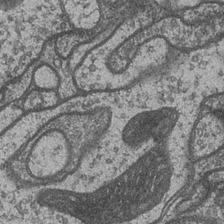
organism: Drosophila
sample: Optic medulla